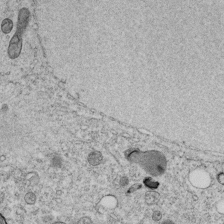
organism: C. elegans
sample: C. elegans embryo early stage